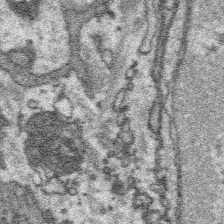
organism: Platynereis dumerilii